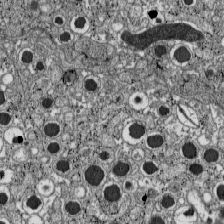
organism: C57BL Mouse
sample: Pancreatic islet